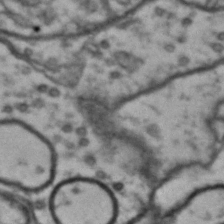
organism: Drosophila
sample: Brain